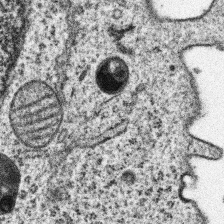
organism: Human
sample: HeLa cells